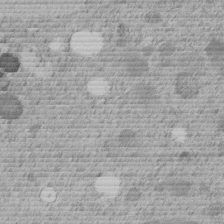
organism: C. elegans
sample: C. elegans embryo early stage